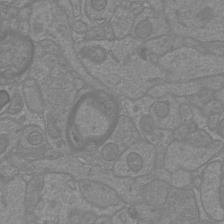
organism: Mouse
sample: Cortical neurons